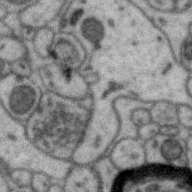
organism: Zebra finch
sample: Brain